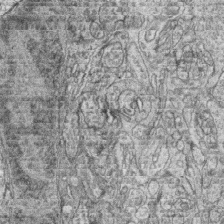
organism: Zebrafish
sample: synaptic ribbons in rod cells and cone cells